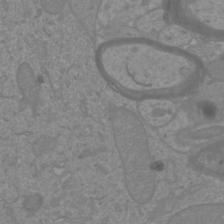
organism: Mouse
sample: Cortical neurons